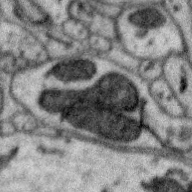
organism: Zebra finch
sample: Brain